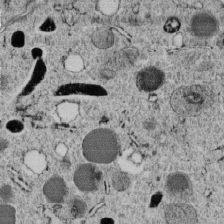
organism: C. elegans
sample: C. elegans embryo early stage